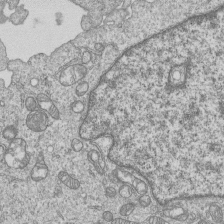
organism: Human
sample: MDA-MB-231 cells